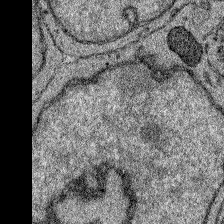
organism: Zebrafish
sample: Larval olfactory bulb